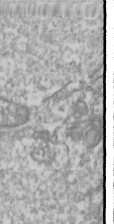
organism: Drosophila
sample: Cell division; meiosis; drosophila spermatocytes